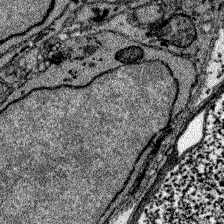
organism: Zebrafish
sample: Larval olfactory bulb